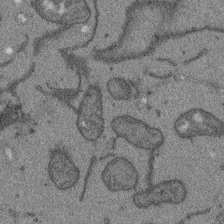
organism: Arabidopsis thaliana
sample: Root tip